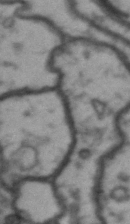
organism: Drosophila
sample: Brain